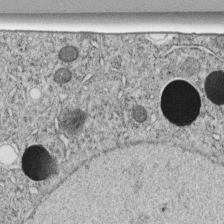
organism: C. elegans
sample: C. elegans embryo early stage